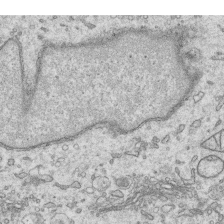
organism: Human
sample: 1205lu cells